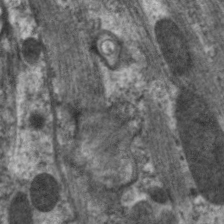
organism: C. elegans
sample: Pharynx